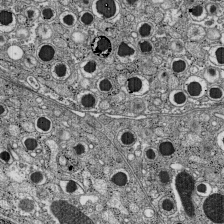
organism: C57BL Mouse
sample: Pancreatic islet